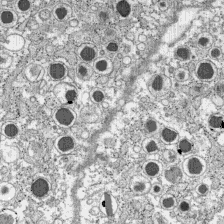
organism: C57BL Mouse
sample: Pancreatic islet